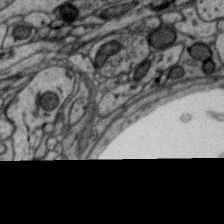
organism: Zebra finch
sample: Brain